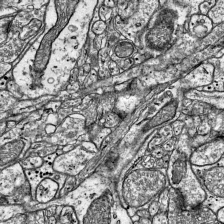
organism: Mouse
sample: Visual Cortex